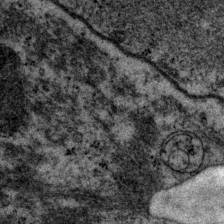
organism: P. pacificus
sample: Pharynx